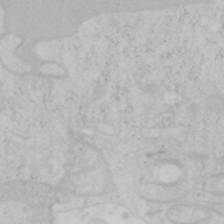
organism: Mouse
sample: OT-I killer T cells with ID8 ovarian cancer cells